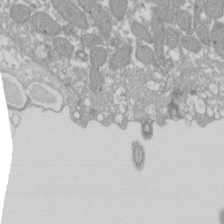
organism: Xenopus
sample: Cilia; centrioles in frog embryo cells